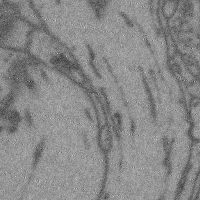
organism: Mouse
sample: Cerebral cortex